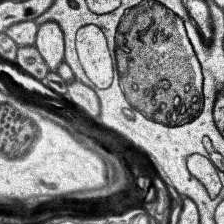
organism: Human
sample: Temporal Lobe